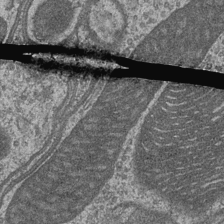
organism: Drosophila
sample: Optic medulla